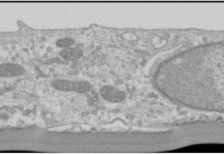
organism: Human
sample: Cilia; basal body in RPE cells